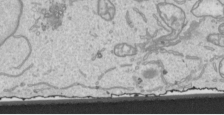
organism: Human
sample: Mitochondria in HCT116 cells